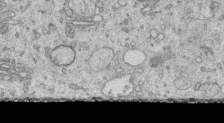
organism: Human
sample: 1205lu cells